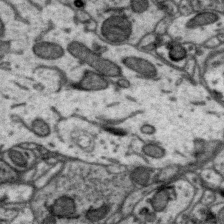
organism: Zebra finch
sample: Brain